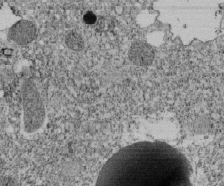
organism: Tetrahymena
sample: Cilia in tetrahymena